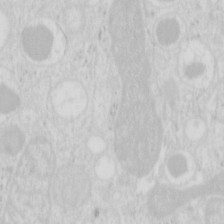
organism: Mouse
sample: Pancreas